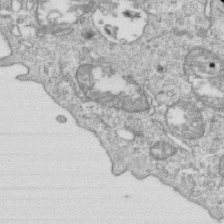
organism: Mouse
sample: Activated OT-1 CD8+ T cells